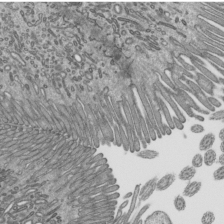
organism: Mouse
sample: Mouse epididymis efferent ductule cilia